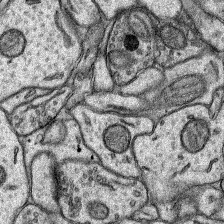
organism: Rat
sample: Hippocampus